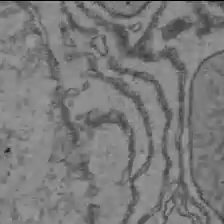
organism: C57BL Mouse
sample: Liver